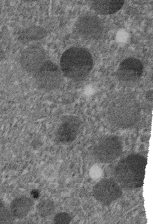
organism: C. elegans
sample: C. elegans embryo early stage